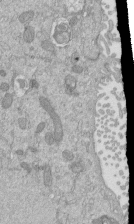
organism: Mouse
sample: ED-1 cell nuclei; centrioles